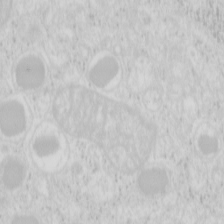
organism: Mouse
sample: Pancreas